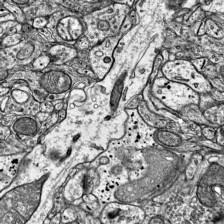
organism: Mouse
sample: Visual Cortex